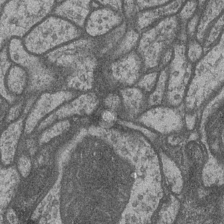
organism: Drosophila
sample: Optic medulla